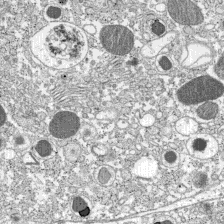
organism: C57BL Mouse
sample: Pancreatic islet